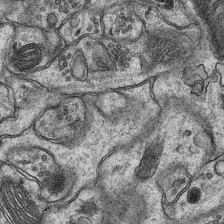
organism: Mouse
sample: CA1 Hippocampus